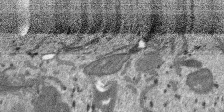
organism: Human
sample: Lung epithelial cells infected with SARS-CoV-2